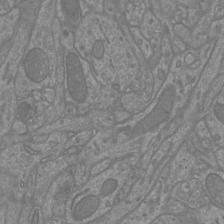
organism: Mouse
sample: Cortical neurons